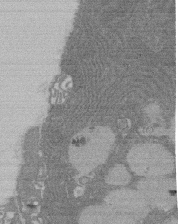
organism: Rat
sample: Salivary granule